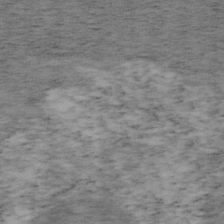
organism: Mouse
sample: OT-I killer T cells with ID8 ovarian cancer cells